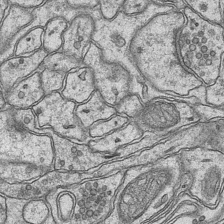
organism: Mouse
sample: CA1 Hippocampus